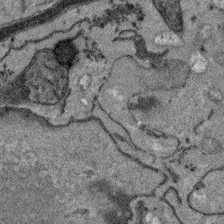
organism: Arabidopsis thaliana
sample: Root tip